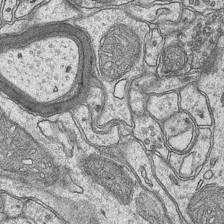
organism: Mouse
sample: CA1 Hippocampus